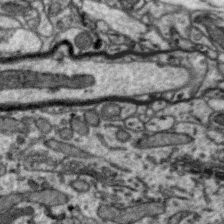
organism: Zebra finch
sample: Brain